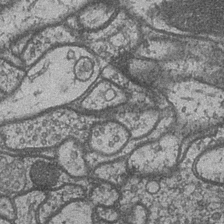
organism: Drosophila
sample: Optic medulla